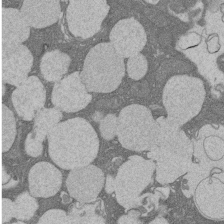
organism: Rat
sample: Salivary granule